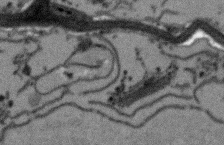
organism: Arabidopsis thaliana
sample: Root tip